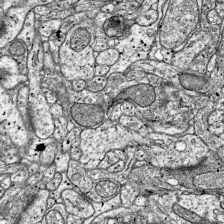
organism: Mouse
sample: Visual Cortex